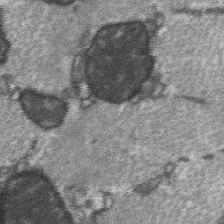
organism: C57BL Mouse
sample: Soleus